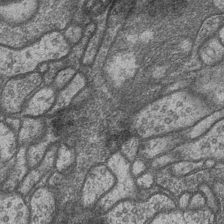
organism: Drosophila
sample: Optic medulla